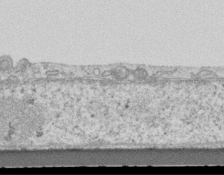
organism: Mouse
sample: Centriole in ependymal cells